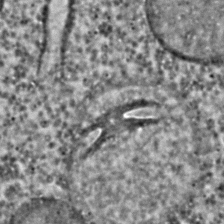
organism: C. elegans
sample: C. elegans embryo